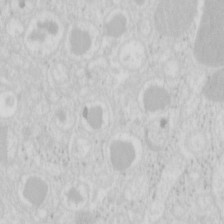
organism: Mouse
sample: Pancreas